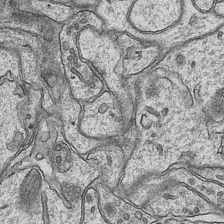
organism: Mouse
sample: CA1 Hippocampus